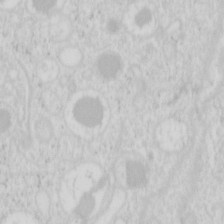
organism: Mouse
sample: Pancreas